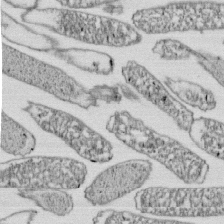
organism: E. coli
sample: Bacterial nucleoid